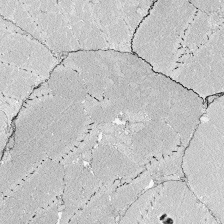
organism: Zebrafish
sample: Whole-Brain